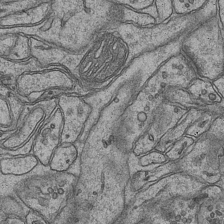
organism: Mouse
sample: CA1 Hippocampus